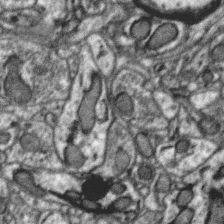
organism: Zebra finch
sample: Brain